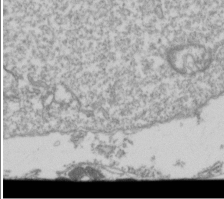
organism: Drosophila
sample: Cell division; meiosis; drosophila spermatocytes